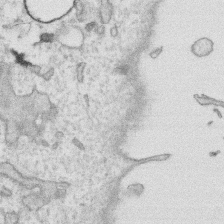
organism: Human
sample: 1205lu cells